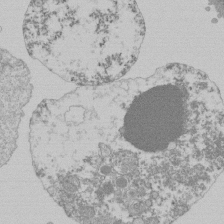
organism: Mouse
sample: Activated Pmel transgenic CD8+ T Cells